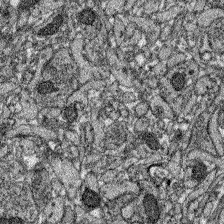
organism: Zebrafish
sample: Larval olfactory bulb